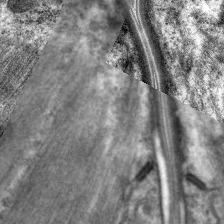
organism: C. elegans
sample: Pharynx